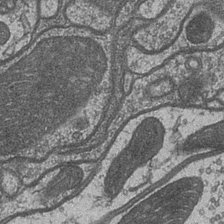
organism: Drosophila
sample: Optic medulla